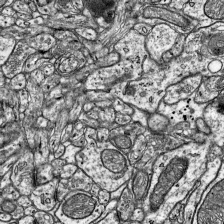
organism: Mouse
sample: Visual Cortex